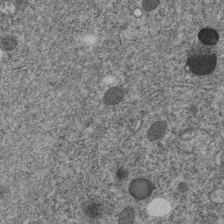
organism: C. elegans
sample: C. elegans embryo early stage